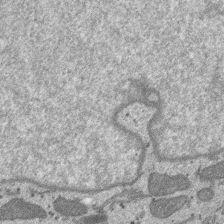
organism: Human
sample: Lung epithelial cells infected with SARS-CoV-2